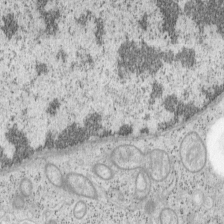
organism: Mouse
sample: OT-I killer T cells with ID8 ovarian cancer cells